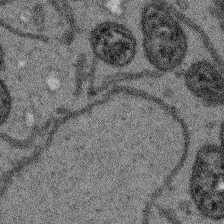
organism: Arabidopsis thaliana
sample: Root tip